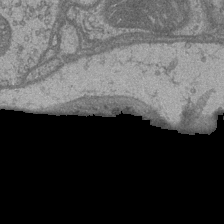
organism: Drosophila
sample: Optic medulla